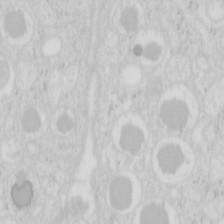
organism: Mouse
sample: Pancreas